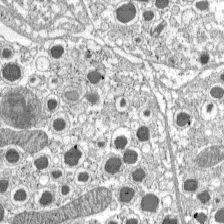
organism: C57BL Mouse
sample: Pancreatic islet